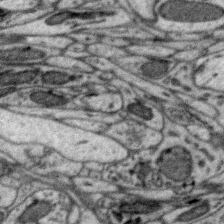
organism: Zebra finch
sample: Brain